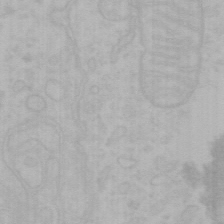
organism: Mouse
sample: Choroid plexus